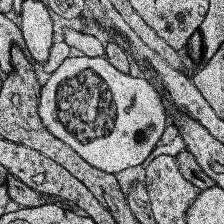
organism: Human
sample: Temporal Lobe